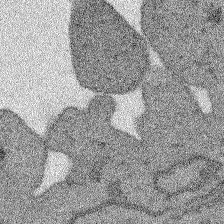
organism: Human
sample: HeLa cells